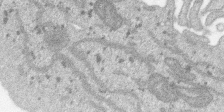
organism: Human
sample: Lung epithelial cells infected with SARS-CoV-2